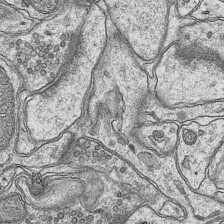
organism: Mouse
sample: CA1 Hippocampus